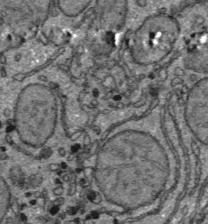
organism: C57BL Mouse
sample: Liver